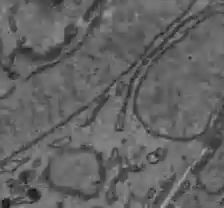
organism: C57BL Mouse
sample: Liver